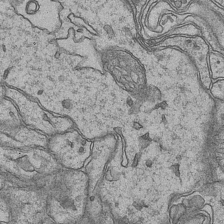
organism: Mouse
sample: CA1 Hippocampus